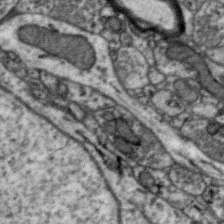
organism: Zebra finch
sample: Brain